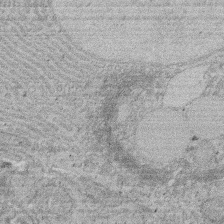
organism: Rat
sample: Salivary granule